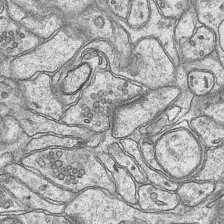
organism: Mouse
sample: CA1 Hippocampus